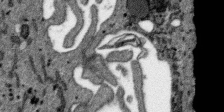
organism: Human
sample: Lung epithelial cells, uninfected (mock) control